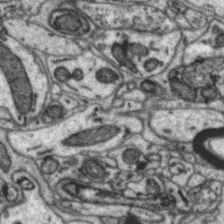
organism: Zebra finch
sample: Brain